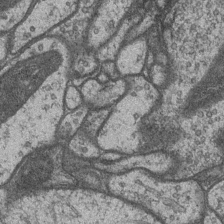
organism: Drosophila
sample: Optic medulla